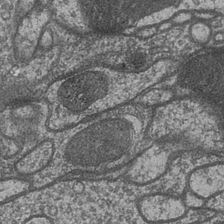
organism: Drosophila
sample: Optic medulla